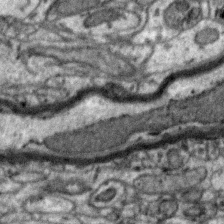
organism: Zebra finch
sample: Brain